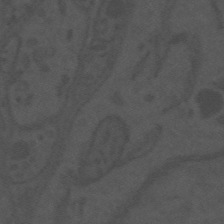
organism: Mouse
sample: Suprachiasmatic nucleus